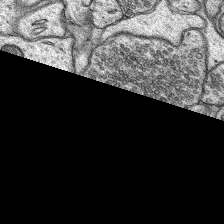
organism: Rat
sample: Hippocampus